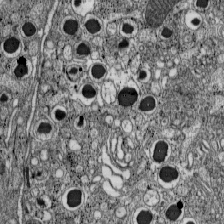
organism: C57BL Mouse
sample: Pancreatic islet